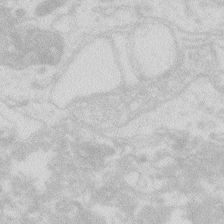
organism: Zebrafish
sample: Macrophage